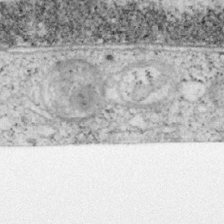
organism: Mouse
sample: OT-I killer T cells with ID8 ovarian cancer cells